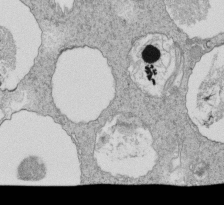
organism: Tetrahymena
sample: Cilia in tetrahymena